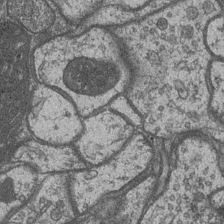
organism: Drosophila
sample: Optic medulla